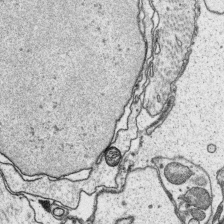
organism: Platynereis dumerilii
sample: Parapodia